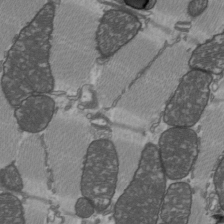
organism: C57BL Mouse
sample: Heart